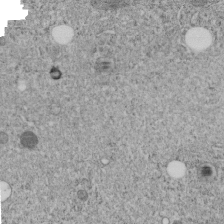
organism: C. elegans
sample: C. elegans embryo early stage